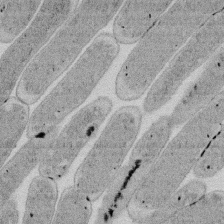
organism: E. coli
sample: Bacterial nucleoid